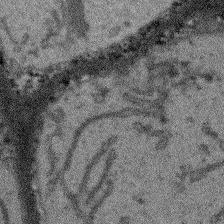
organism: Arabidopsis thaliana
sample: Root tip